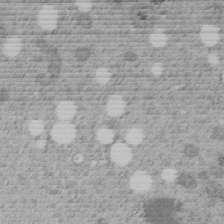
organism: C. elegans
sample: C. elegans embryo early stage